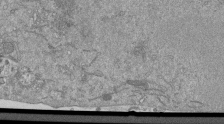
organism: Mouse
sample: ED-1 cell nuclei; centrioles